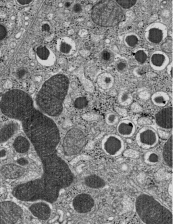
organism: C57BL Mouse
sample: Pancreatic islet